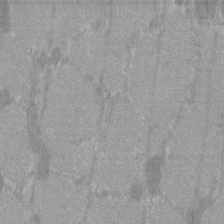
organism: C57BL Mouse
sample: Tibialis anterior muscle cell